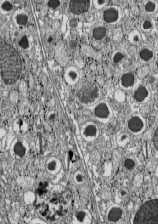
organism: C57BL Mouse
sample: Pancreatic islet